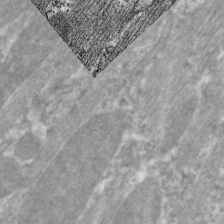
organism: C. elegans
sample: Pharynx